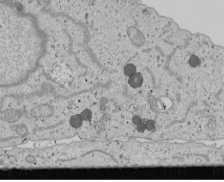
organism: Human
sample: Mitochondria in U2OS cells